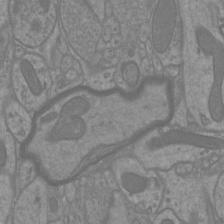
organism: Mouse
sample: Cortical neurons